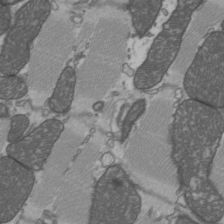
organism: C57BL Mouse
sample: Heart